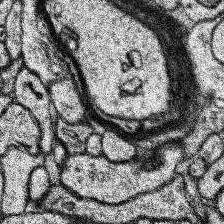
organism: Human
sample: Temporal Lobe